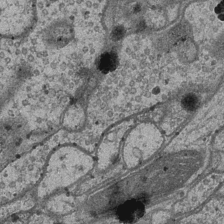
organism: Drosophila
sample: Optic medulla